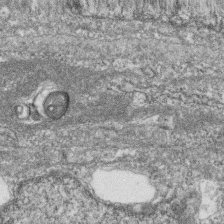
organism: Zebrafish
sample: Cilia; retinal pigment epithelium